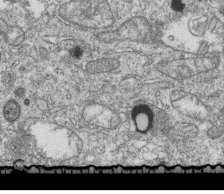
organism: Human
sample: HeLa cell HIV synapse